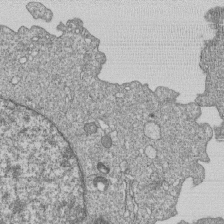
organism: Human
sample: MDA-MB-231 cells